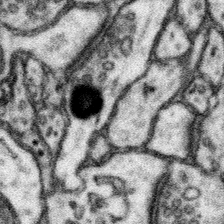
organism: Mouse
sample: Somatosensory cortex neuropil